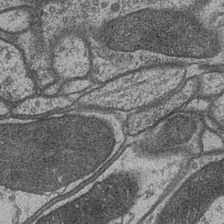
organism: Drosophila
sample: Optic medulla